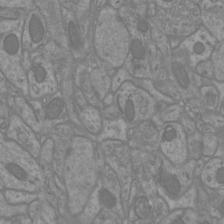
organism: Mouse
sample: Cortical neurons